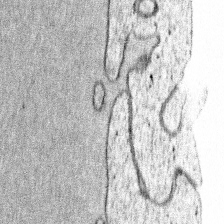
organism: Human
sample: HeLa cells